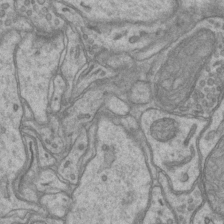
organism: Mouse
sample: CA1 Hippocampus